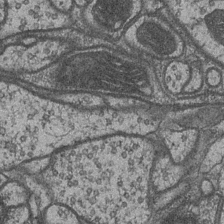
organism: Drosophila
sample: Optic medulla